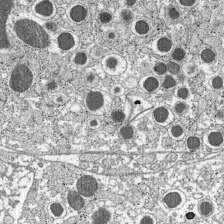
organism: C57BL Mouse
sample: Pancreatic islet